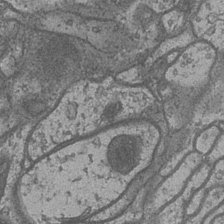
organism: Drosophila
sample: Optic medulla